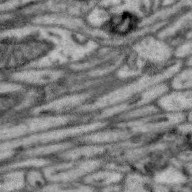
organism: Zebra finch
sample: Brain